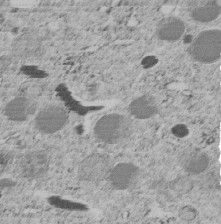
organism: C. elegans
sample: C. elegans embryo early stage